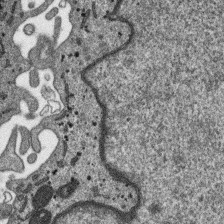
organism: Human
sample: Lung epithelial cells infected with SARS-CoV-2